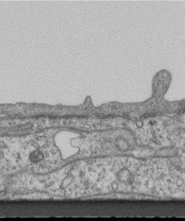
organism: Mouse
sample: Centriole in ependymal cells